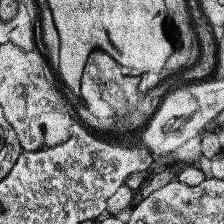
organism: Human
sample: Temporal Lobe